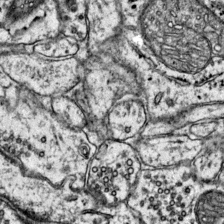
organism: Mouse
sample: Primary visual cortex